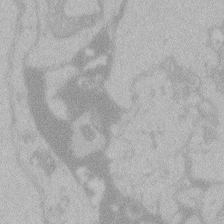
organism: Zebrafish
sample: Macrophage infected with Toxoplasma gondii